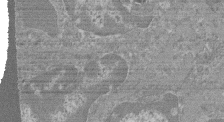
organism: Mouse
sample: Glomerulus